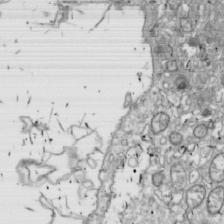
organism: Drosophila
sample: Cell division; meiosis; drosophila spermatocytes